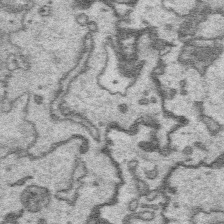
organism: Platynereis dumerilii